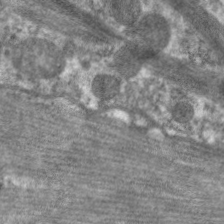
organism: C. elegans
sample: Pharynx